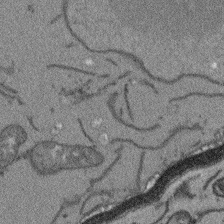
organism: Arabidopsis thaliana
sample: Root tip